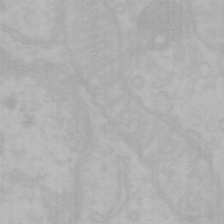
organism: Mouse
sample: Choroid plexus